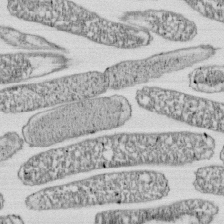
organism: E. coli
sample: Bacterial nucleoid